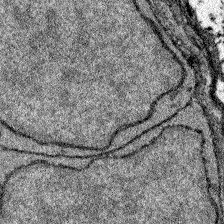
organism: Zebrafish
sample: Larval olfactory bulb